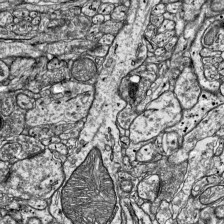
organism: Mouse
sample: Visual Cortex